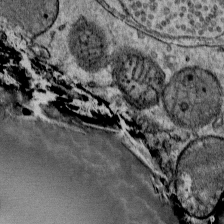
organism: Mouse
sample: Mouse Salivary gland